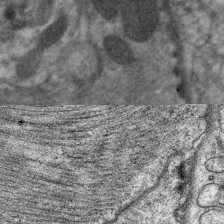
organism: C. elegans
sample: Pharynx